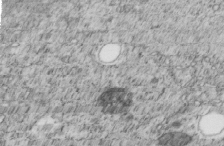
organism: C. elegans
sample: C. elegans embryo early stage